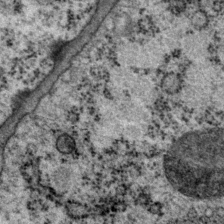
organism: P. pacificus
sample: Pharynx